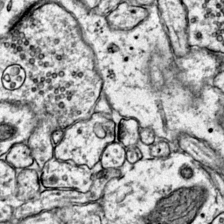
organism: Mouse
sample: Primary visual cortex